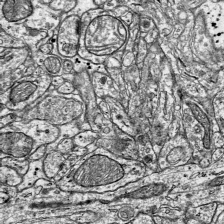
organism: Mouse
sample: Visual Cortex